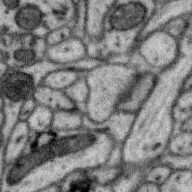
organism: Zebra finch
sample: Brain